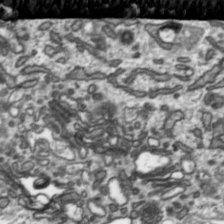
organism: Toxoplasma gondii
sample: Parasites in a vacuole inside a host cell